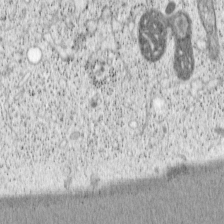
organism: African green monkey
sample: COS-7 cells